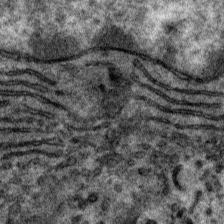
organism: Mouse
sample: Mouse hepatocytes